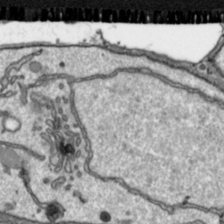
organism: Toxoplasma gondii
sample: Parasites in a vacuole inside a host cell